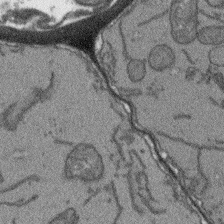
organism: Arabidopsis thaliana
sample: Root tip